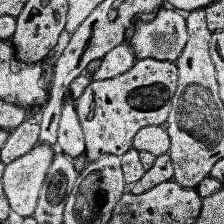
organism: Human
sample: Temporal Lobe